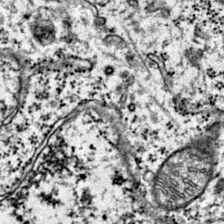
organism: Mouse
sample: Primary visual cortex